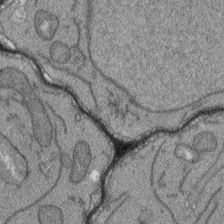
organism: Arabidopsis thaliana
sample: Root tip